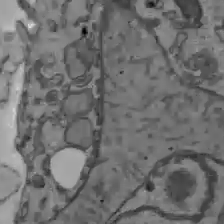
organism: C57BL Mouse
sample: Liver